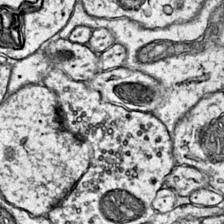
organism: Mouse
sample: Primary visual cortex